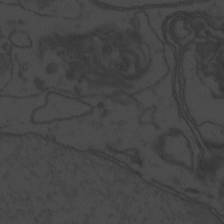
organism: Zebrafish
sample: Macrophage infected with Toxoplasma gondii